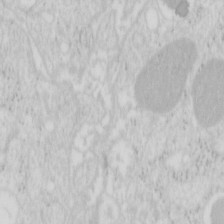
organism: Mouse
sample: Pancreas